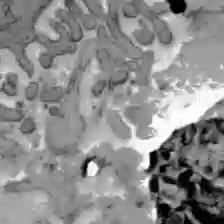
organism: C57BL Mouse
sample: Liver